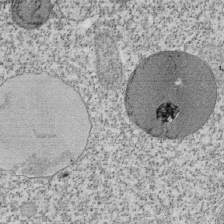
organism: Tetrahymena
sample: Cilia in tetrahymena